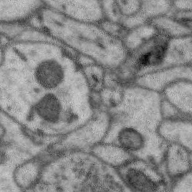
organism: Zebra finch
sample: Brain